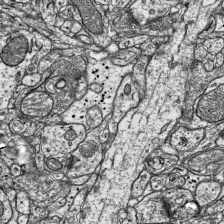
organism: Mouse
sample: Visual Cortex